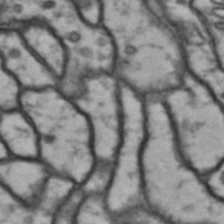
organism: Drosophila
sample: Brain